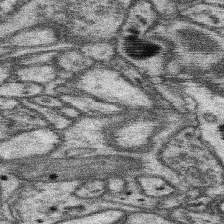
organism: Mouse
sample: Somatosensory cortex neuropil